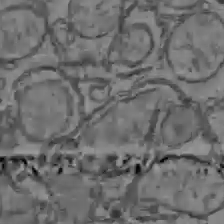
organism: C57BL Mouse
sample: Liver